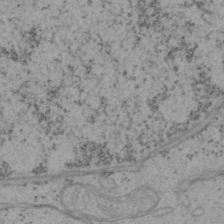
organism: Human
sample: HeLa cells